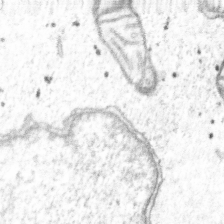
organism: Human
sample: HeLa cells